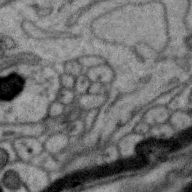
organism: Zebra finch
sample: Brain